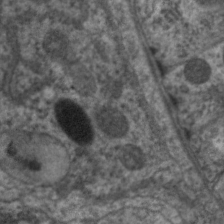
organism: C. elegans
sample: Pharynx